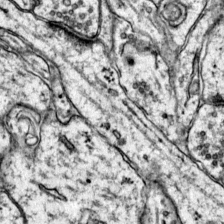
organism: Mouse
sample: Primary visual cortex